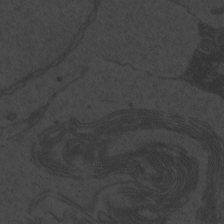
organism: Zebrafish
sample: Macrophage infected with Toxoplasma gondii